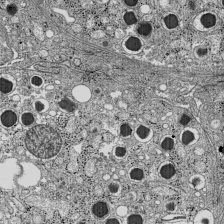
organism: C57BL Mouse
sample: Pancreatic islet